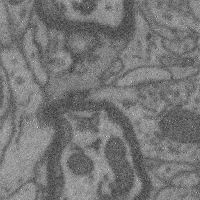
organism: Mouse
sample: Cerebral cortex